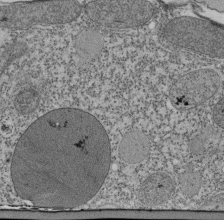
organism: Tetrahymena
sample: Cilia in tetrahymena